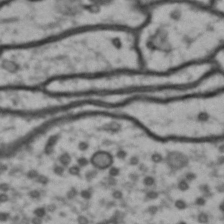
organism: Drosophila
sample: Brain